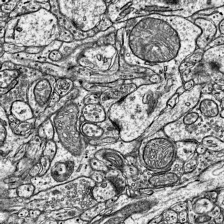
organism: Mouse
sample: Visual Cortex